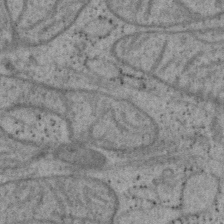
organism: Human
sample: HeLa cells